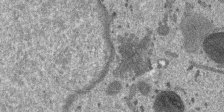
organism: Human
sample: Lung epithelial cells infected with SARS-CoV-2